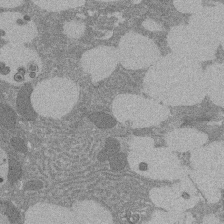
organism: Rat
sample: Salivary granule